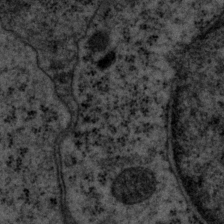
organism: P. pacificus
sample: Pharynx